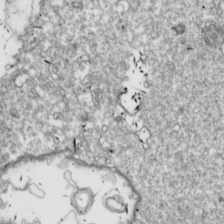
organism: Drosophila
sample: Cell division; meiosis; drosophila spermatocytes